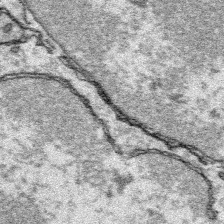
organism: Platynereis dumerilii